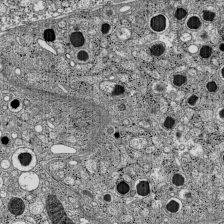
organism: C57BL Mouse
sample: Pancreatic islet